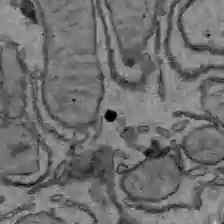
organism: C57BL Mouse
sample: Liver